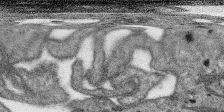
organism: Human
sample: Lung epithelial cells infected with SARS-CoV-2